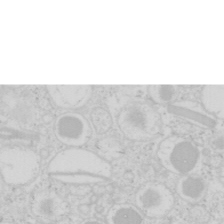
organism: Mouse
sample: Pancreas